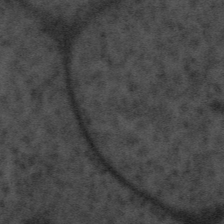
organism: Tuwongella immobilis